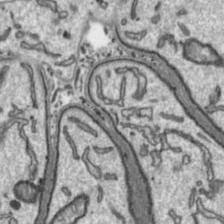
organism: Toxoplasma gondii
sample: Parasites in a vacuole inside a host cell